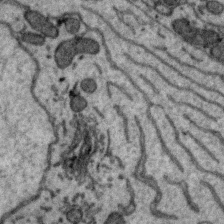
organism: Zebra finch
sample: Brain